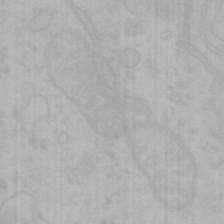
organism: Mouse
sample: Choroid plexus